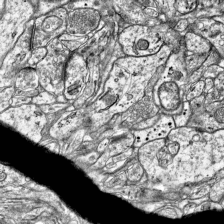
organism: Mouse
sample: Visual Cortex